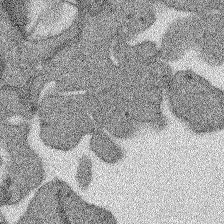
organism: Human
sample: HeLa cells